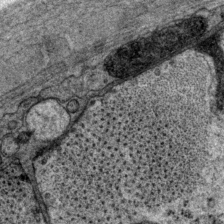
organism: P. pacificus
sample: Pharynx